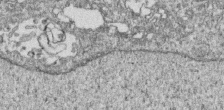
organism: Human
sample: HeLa cell HIV synapse